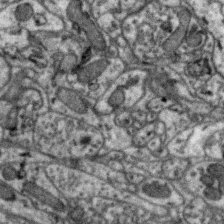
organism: Zebra finch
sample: Brain